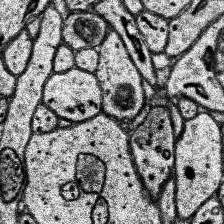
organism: Human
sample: Temporal Lobe